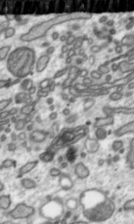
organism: Toxoplasma gondii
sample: Parasites in a vacuole inside a host cell